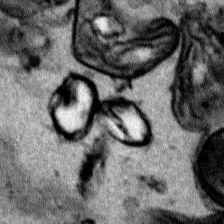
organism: Human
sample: Mitochondria in HCT116 cells